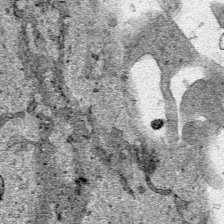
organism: Human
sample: Mitochondria in HCT116 cells